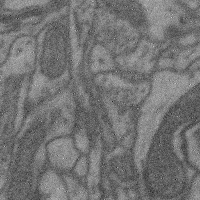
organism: Mouse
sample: Cerebral cortex